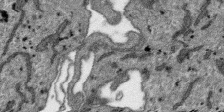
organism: Human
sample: Lung epithelial cells, uninfected (mock) control